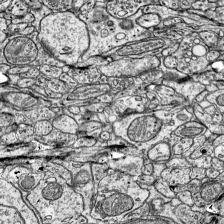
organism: Mouse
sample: Visual Cortex